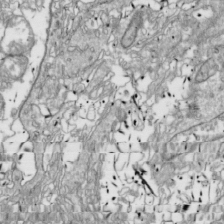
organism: Drosophila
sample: Cell division; meiosis; drosophila spermatocytes